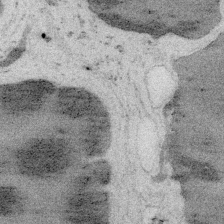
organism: Embia sp.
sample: Silk gland